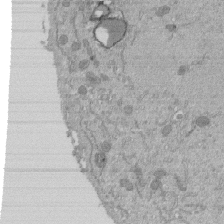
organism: Mouse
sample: ED-1 cell nuclei; centrioles